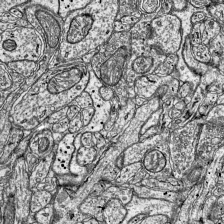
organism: Mouse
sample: Visual Cortex